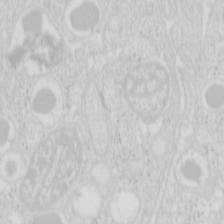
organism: Mouse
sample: Pancreas